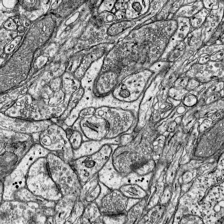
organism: Mouse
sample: Visual Cortex